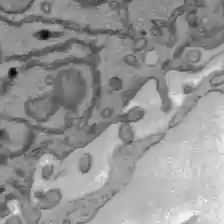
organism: C57BL Mouse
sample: Liver